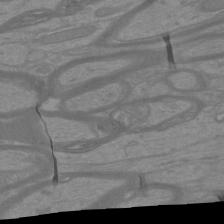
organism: Mouse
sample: Cortical neurons